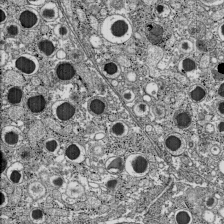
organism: C57BL Mouse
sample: Pancreatic islet